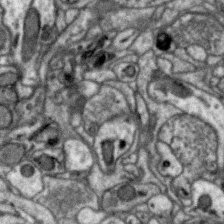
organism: Zebra finch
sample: Brain